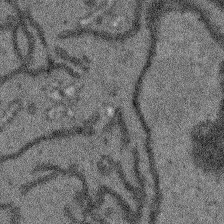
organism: Arabidopsis thaliana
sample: Root tip